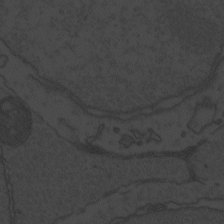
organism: Zebrafish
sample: Macrophage infected with Toxoplasma gondii